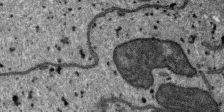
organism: Human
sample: Lung epithelial cells, uninfected (mock) control